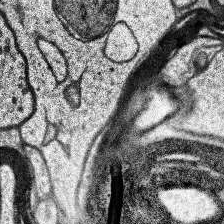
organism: Human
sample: Temporal Lobe